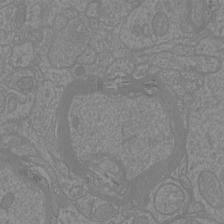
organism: Mouse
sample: Cortical neurons